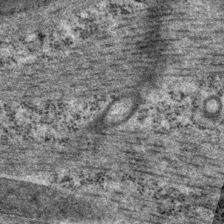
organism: P. pacificus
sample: Pharynx